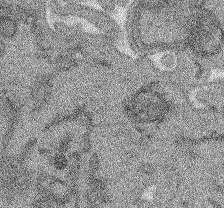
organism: Human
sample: HeLa cells